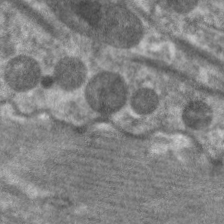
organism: C. elegans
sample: Pharynx